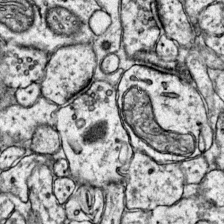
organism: Mouse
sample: Primary visual cortex